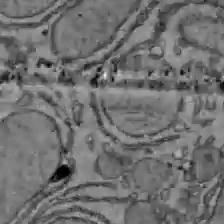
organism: C57BL Mouse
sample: Liver